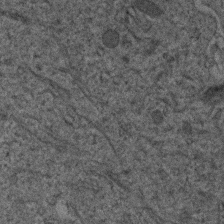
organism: Human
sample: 1205lu cells